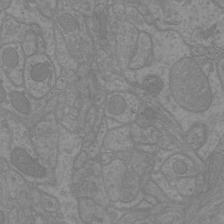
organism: Mouse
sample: Cortical neurons